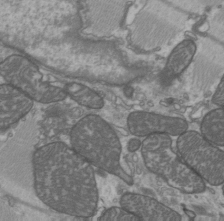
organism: C57BL Mouse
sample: Heart